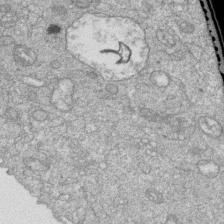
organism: Human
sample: HeLa cell HIV synapse